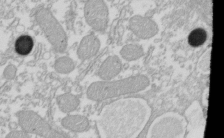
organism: Xenopus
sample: Cilia; centrioles in frog embryo cells